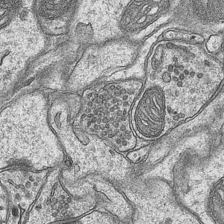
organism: Mouse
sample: CA1 Hippocampus